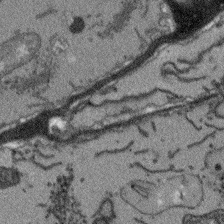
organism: Arabidopsis thaliana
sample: Root tip